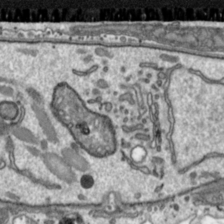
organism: Toxoplasma gondii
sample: Parasites in a vacuole inside a host cell